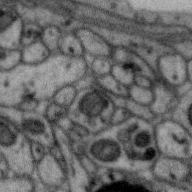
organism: Zebra finch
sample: Brain